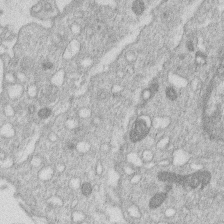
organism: Human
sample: Macrophage cells